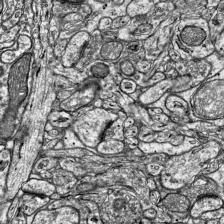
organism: Mouse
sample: Visual Cortex